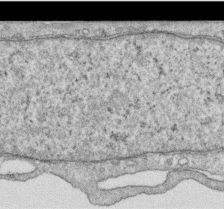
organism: Human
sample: Centriole in RPE cells